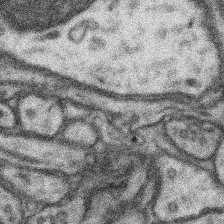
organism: Mouse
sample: Somatosensory cortex neuropil